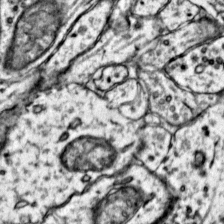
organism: Mouse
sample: Primary visual cortex